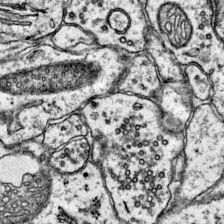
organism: Mouse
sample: Primary visual cortex